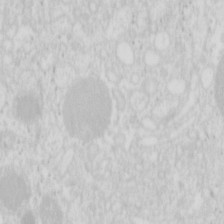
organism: Mouse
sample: Pancreas